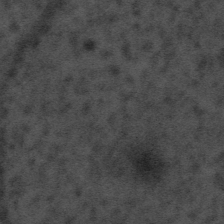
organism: Tuwongella immobilis